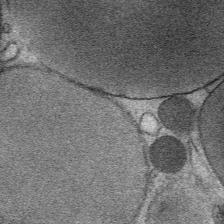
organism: Mouse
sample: Mouse Salivary gland